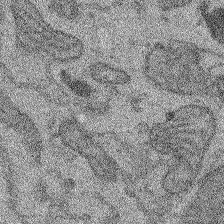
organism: Human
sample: HeLa cells